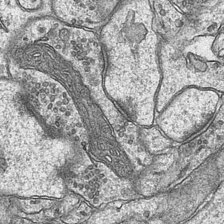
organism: Mouse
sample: CA1 Hippocampus